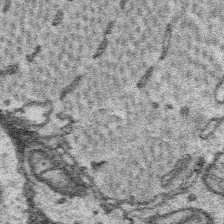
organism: Platynereis dumerilii